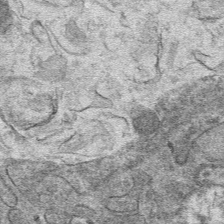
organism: Mouse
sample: Mouse hepatocytes